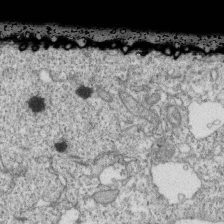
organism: Human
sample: HeLa cell HIV synapse